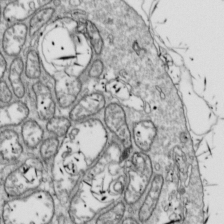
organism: Drosophila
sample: Cell division; meiosis; drosophila spermatocytes